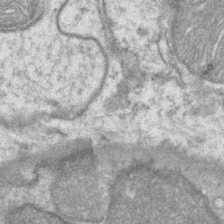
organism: Mouse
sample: CA1 Hippocampus